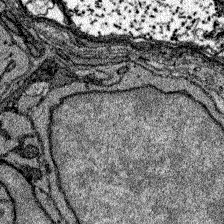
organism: Zebrafish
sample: Larval olfactory bulb